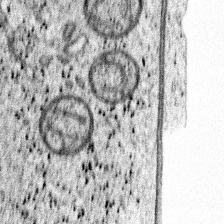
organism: Human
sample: HeLa cells